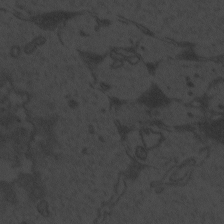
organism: Zebrafish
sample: Macrophage infected with Toxoplasma gondii